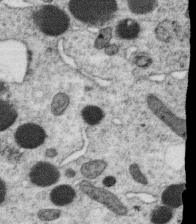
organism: C. elegans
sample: C. elegans oocyte; sperm cells